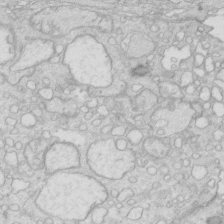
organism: Mouse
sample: Multiciliated cells